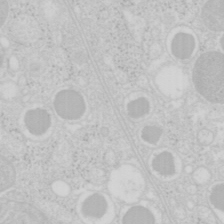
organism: Mouse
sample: Pancreas